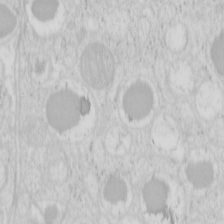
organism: Mouse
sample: Pancreas